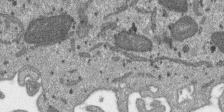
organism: Human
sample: Lung epithelial cells infected with SARS-CoV-2